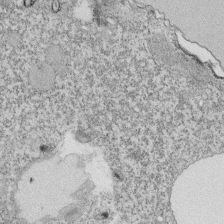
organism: Tetrahymena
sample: Cilia in tetrahymena